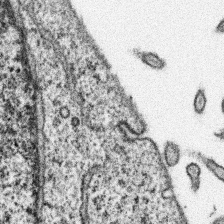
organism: Human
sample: HeLa cells